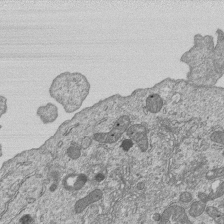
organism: Human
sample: MDA-MB-231 cells